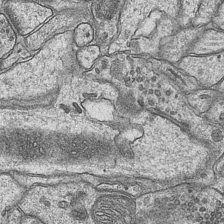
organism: Mouse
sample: CA1 Hippocampus